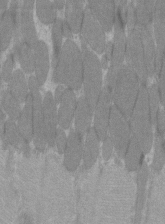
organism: C57BL Mouse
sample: Tibialis anterior muscle cell